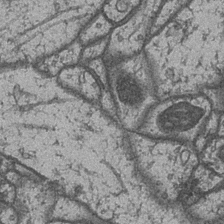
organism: Drosophila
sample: Optic medulla